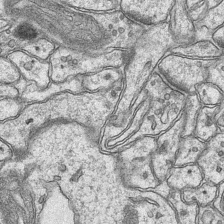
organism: Mouse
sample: CA1 Hippocampus